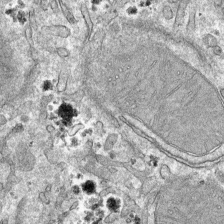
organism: Mouse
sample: Mouse hepatocytes